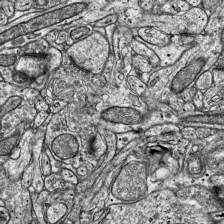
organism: Mouse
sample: Visual Cortex